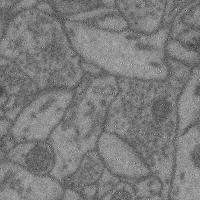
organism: Mouse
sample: Cerebral cortex